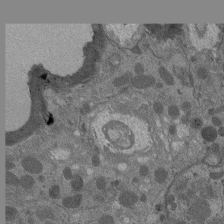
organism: Drosophila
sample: Antenna